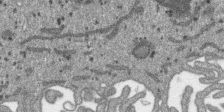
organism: Human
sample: Lung epithelial cells infected with SARS-CoV-2